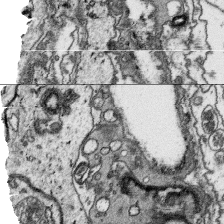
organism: Platynereis dumerilii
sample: Parapodia